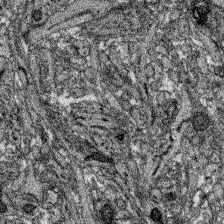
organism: Zebrafish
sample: Larval olfactory bulb